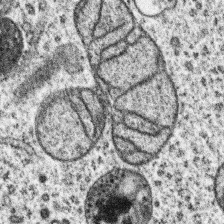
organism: Human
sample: HeLa cells